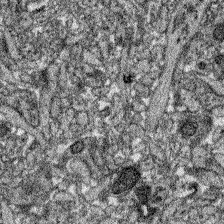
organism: Zebrafish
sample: Larval olfactory bulb